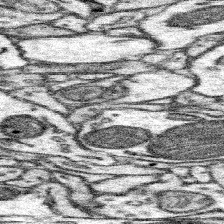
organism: Mouse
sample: Somatosensory cortex neuropil